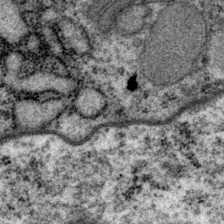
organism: P. pacificus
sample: Pharynx